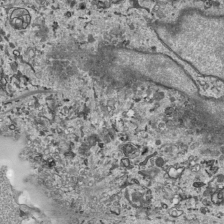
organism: Human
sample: Mitochondria in HCT116 cells